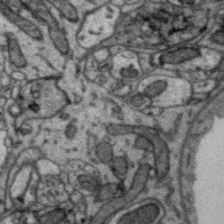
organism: Zebra finch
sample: Brain